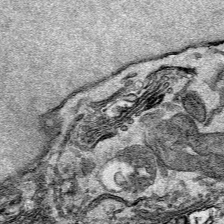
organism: Mouse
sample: Cancer cell death in ED-1 cells